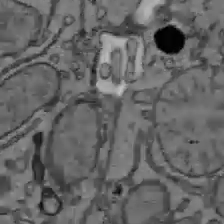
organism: C57BL Mouse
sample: Liver